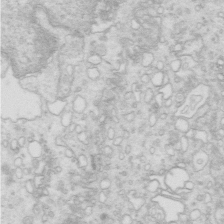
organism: Mouse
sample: Multiciliated cells